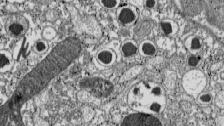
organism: C57BL Mouse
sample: Pancreatic islet